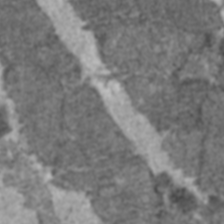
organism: C57BL Mouse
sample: Heart